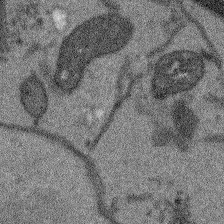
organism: Arabidopsis thaliana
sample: Root tip